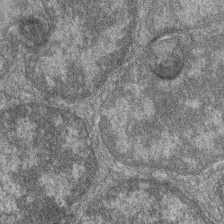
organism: Zebrafish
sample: Cilia; retinal pigment epithelium